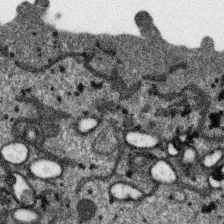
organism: Human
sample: Lung epithelial cells infected with SARS-CoV-2